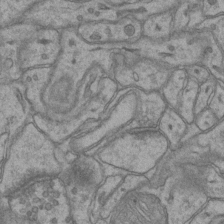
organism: Mouse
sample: CA1 Hippocampus